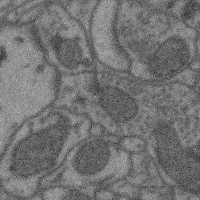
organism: Mouse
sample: Cerebral cortex